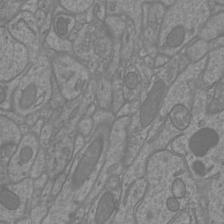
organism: Mouse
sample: Cortical neurons